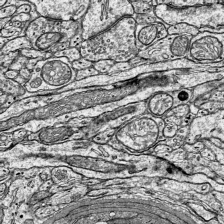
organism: Mouse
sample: Visual Cortex